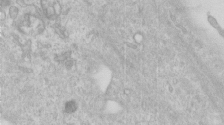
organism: Human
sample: Centriole in RPE cells